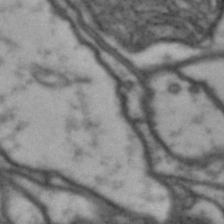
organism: Drosophila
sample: Brain